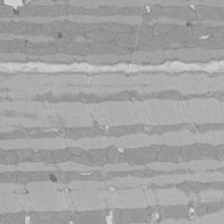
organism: Rat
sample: Left ventricle